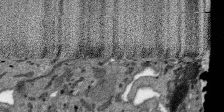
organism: Human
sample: Lung epithelial cells, uninfected (mock) control